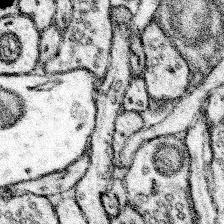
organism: Mouse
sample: Somatosensory cortex neuropil